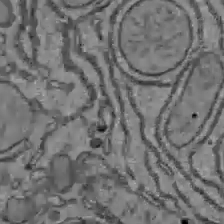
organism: C57BL Mouse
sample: Liver